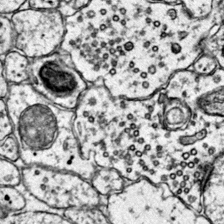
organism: Mouse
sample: Primary visual cortex